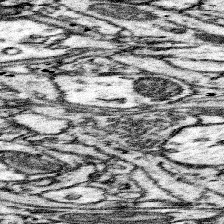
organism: Mouse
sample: Somatosensory cortex neuropil